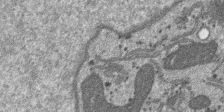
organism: Human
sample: Lung epithelial cells infected with SARS-CoV-2